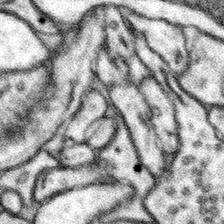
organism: Mouse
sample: Somatosensory cortex neuropil